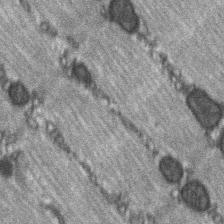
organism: C57BL Mouse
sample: Soleus